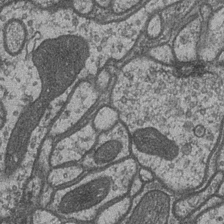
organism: Drosophila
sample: Optic medulla